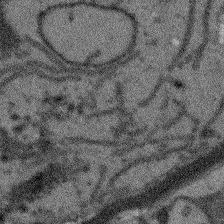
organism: Arabidopsis thaliana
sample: Root tip